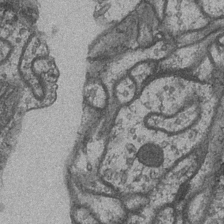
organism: Drosophila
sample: Optic medulla